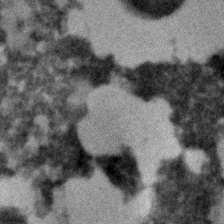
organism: C. elegans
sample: C. elegans embryo